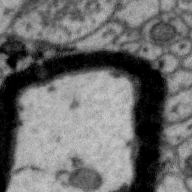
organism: Zebra finch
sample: Brain